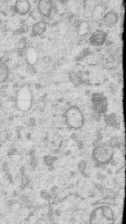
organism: Human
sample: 1205lu cells